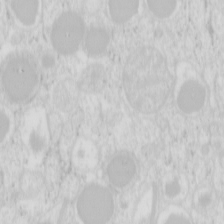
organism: Mouse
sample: Pancreas